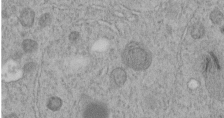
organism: C. elegans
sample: C. elegans embryo early stage